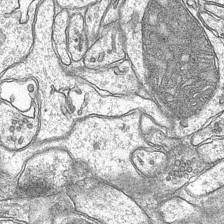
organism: Mouse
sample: CA1 Hippocampus